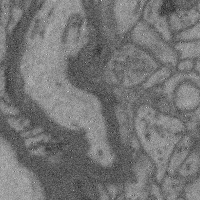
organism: Mouse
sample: Cerebral cortex